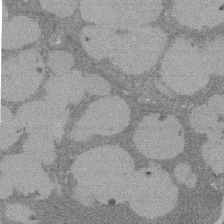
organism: Rat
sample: Salivary granule